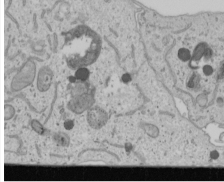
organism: Human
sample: Mitochondria in U2OS cells